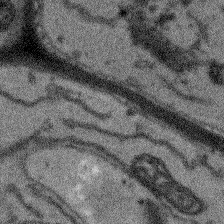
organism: Arabidopsis thaliana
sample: Root tip